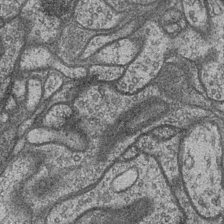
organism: Drosophila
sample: Optic medulla